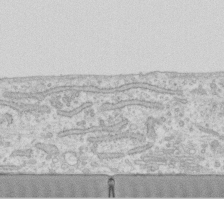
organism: Human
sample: Fibroblast cells